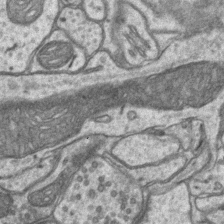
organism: Mouse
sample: CA1 Hippocampus